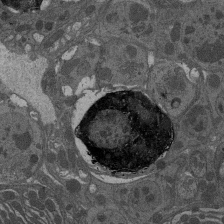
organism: Drosophila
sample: Antenna